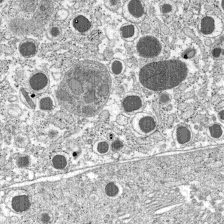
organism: C57BL Mouse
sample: Pancreatic islet